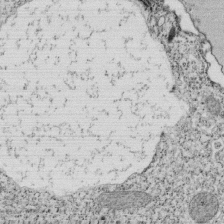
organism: Tetrahymena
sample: Cilia in tetrahymena